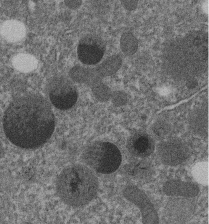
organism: C. elegans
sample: C. elegans embryo early stage